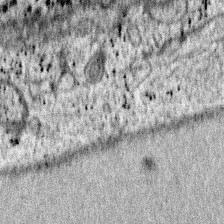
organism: Human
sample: HeLa cells